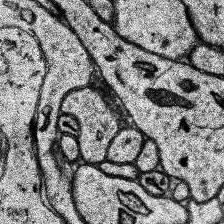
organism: Human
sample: Temporal Lobe